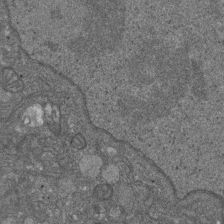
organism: Drosophila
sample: Nephrocyte